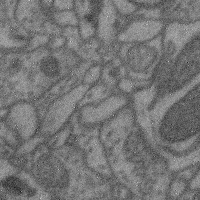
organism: Mouse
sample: Cerebral cortex